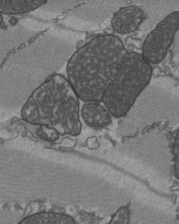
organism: C57BL Mouse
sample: Heart